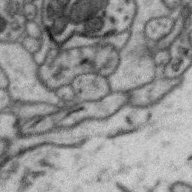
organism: Zebra finch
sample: Brain